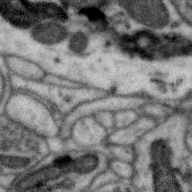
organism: Zebra finch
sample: Brain